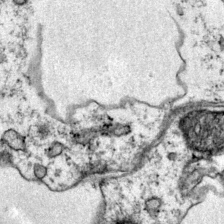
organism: Mouse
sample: Primary visual cortex